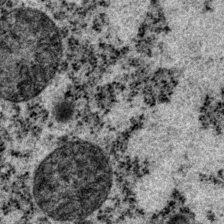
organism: P. pacificus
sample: Pharynx